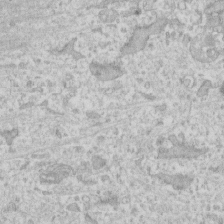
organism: Human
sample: Fibroblast cells